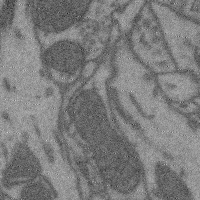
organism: Mouse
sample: Cerebral cortex